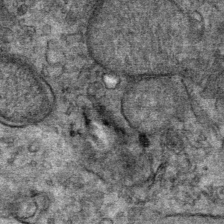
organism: Mouse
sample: Mouse Salivary gland